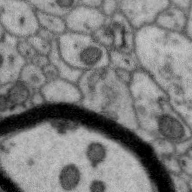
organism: Zebra finch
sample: Brain